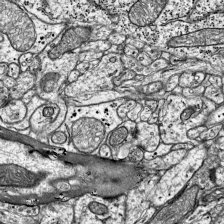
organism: Mouse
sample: Visual Cortex